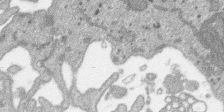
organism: Human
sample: Lung epithelial cells infected with SARS-CoV-2